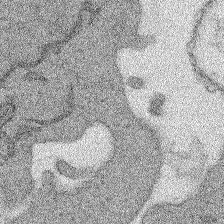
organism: Human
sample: HeLa cells